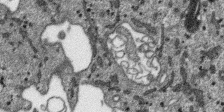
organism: Human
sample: Lung epithelial cells infected with SARS-CoV-2